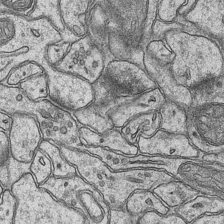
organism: Mouse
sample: CA1 Hippocampus